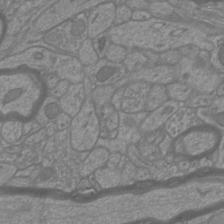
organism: Mouse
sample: Cortical neurons